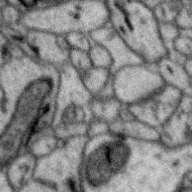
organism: Zebra finch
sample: Brain